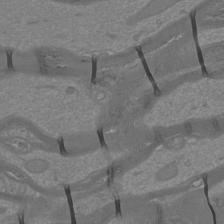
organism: Mouse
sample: Cortical neurons